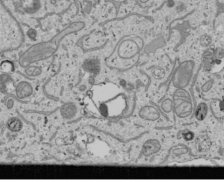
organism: Human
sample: Mitochondria in U2OS cells